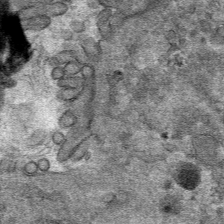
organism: Mouse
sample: Mouse hepatocytes